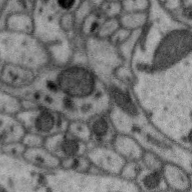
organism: Zebra finch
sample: Brain